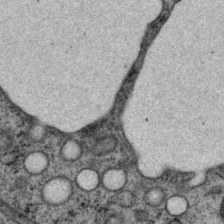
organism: P. pacificus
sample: Pharynx